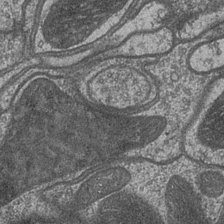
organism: Drosophila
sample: Optic medulla